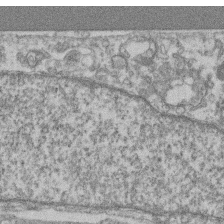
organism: Mouse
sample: T cell stromal cell synapse